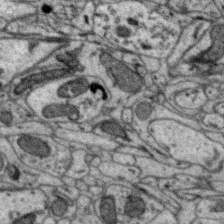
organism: Zebra finch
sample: Brain